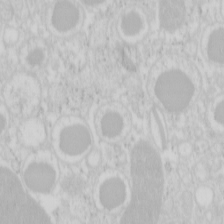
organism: Mouse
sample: Pancreas